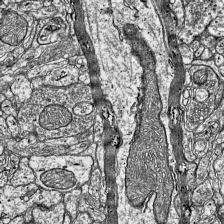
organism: Mouse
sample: Visual Cortex